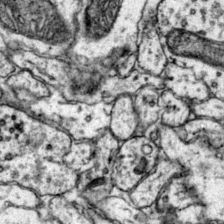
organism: Mouse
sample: Primary visual cortex